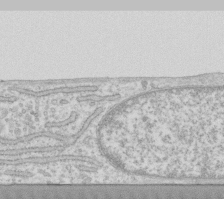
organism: Human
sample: Fibroblast cells